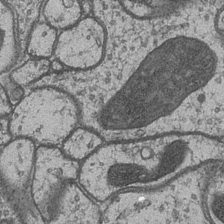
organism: Drosophila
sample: Optic medulla